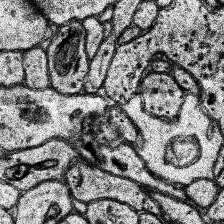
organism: Human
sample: Temporal Lobe